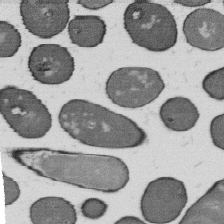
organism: B. subtilis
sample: Bacterial spore